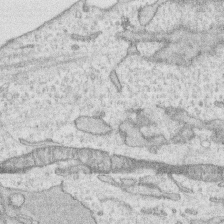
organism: Human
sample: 1205lu cells